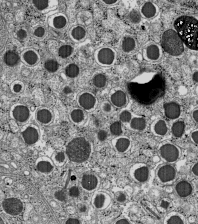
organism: C57BL Mouse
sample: Pancreatic islet